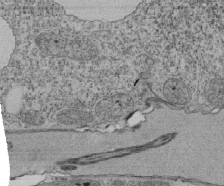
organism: Tetrahymena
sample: Cilia in tetrahymena